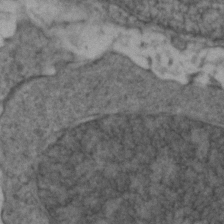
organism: Zebrafish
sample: Zebrafish embryo